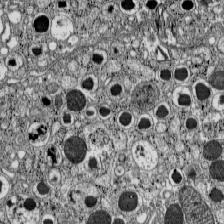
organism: C57BL Mouse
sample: Pancreatic islet